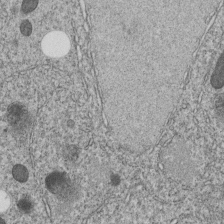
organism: C. elegans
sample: C. elegans embryo early stage